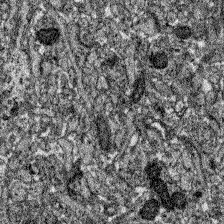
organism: Zebrafish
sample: Larval olfactory bulb